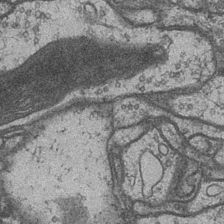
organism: Drosophila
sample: Optic medulla